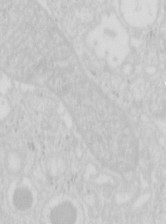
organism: Mouse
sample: Pancreas